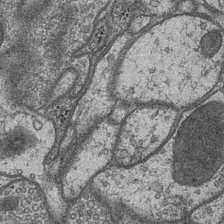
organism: Drosophila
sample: Optic medulla